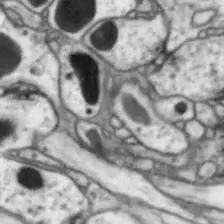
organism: Drosophila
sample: Optic lobe